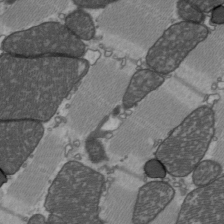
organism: C57BL Mouse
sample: Heart